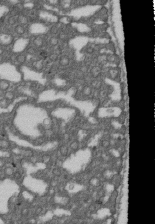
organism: Drosophila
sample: Nephrocyte